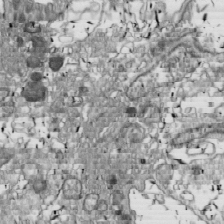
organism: Drosophila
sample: Cell division; meiosis; drosophila spermatocytes